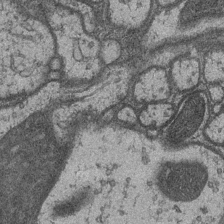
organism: Drosophila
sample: Optic medulla